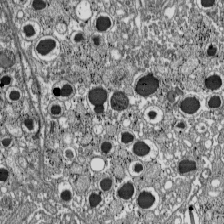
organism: C57BL Mouse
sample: Pancreatic islet